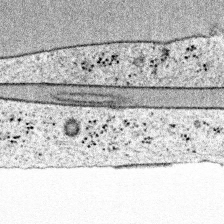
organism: Human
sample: HeLa cells